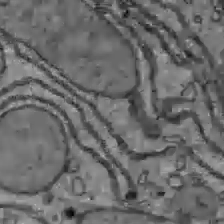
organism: C57BL Mouse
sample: Liver